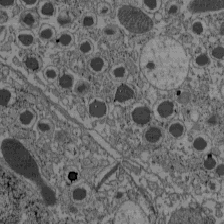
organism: C57BL Mouse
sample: Pancreatic islet